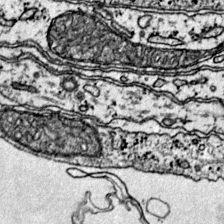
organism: Mouse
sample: Primary visual cortex